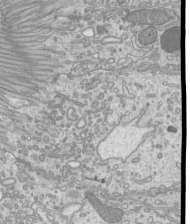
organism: Mouse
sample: Cilia; mouse epididymis